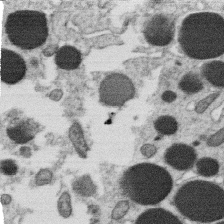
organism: C. elegans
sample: C. elegans oocyte; sperm cells